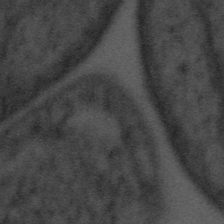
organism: Tuwongella immobilis